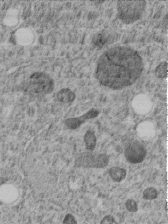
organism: C. elegans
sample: C. elegans embryo early stage